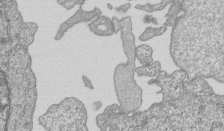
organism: Human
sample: MDA-MB-231 cells